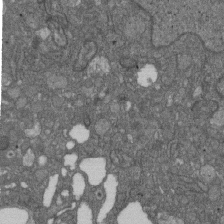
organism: Drosophila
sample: Nephrocyte